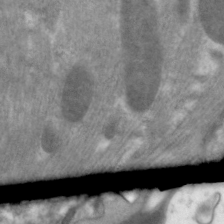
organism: C. elegans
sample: Pharynx